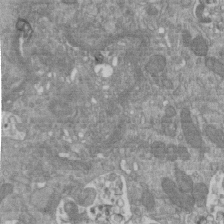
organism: Mouse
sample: ED-1 cell nuclei; centrioles